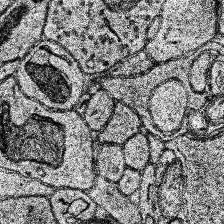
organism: Human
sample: Temporal Lobe